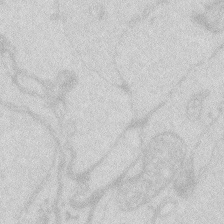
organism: Zebrafish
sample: Macrophage